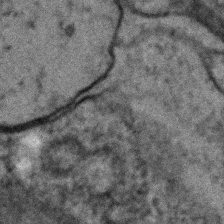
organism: C. elegans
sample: C. elegans embryo